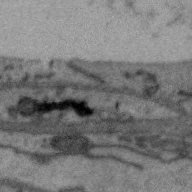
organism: Zebra finch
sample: Brain